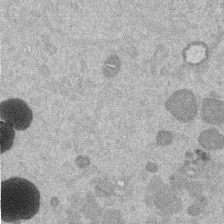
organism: Mouse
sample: Dividing mouse embryo 1 cell stage